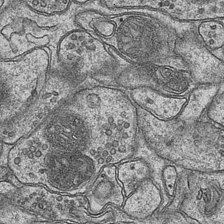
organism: Mouse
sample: CA1 Hippocampus